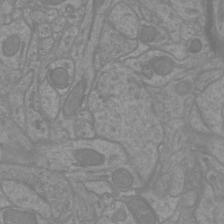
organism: Mouse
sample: Cortical neurons